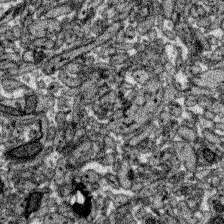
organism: Zebrafish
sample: Larval olfactory bulb